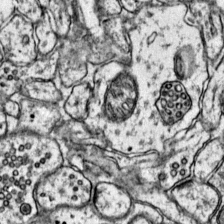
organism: Mouse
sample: Primary visual cortex